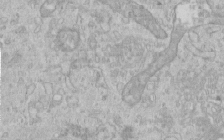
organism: Human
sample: Centriole in RPE cells